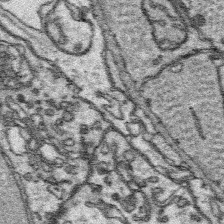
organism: Platynereis dumerilii